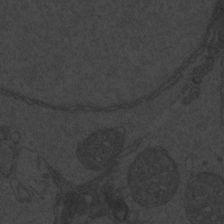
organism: Zebrafish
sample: Macrophage infected with Toxoplasma gondii